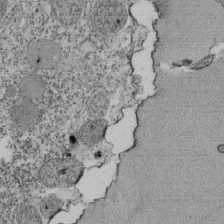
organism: Tetrahymena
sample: Cilia in tetrahymena